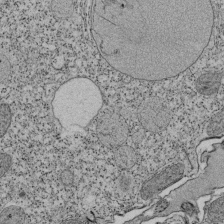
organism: Tetrahymena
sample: Cilia in tetrahymena